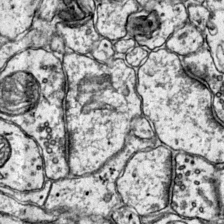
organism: Mouse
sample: Primary visual cortex